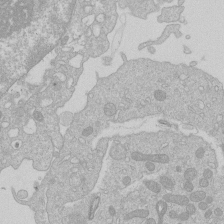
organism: Human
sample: Macrophage cells